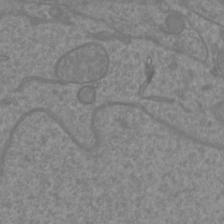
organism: Mouse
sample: Cortical neurons